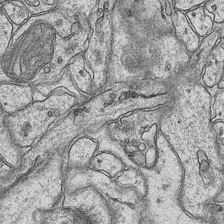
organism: Mouse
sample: CA1 Hippocampus